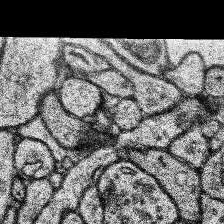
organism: Human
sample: Temporal Lobe